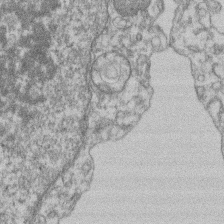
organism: Mouse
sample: T cell stromal cell synapse